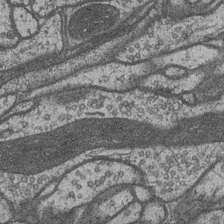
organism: Drosophila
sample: Optic medulla